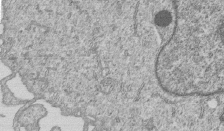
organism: Human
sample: MDA-MB-231 cells